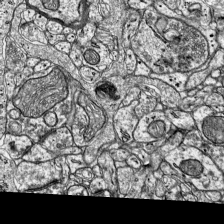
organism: Mouse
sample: Visual Cortex